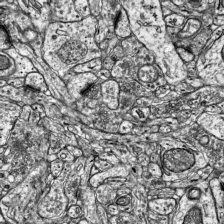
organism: Mouse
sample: Visual Cortex